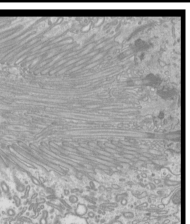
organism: Mouse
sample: Cilia; mouse epididymis